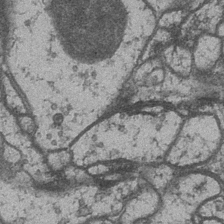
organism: Drosophila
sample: Optic medulla